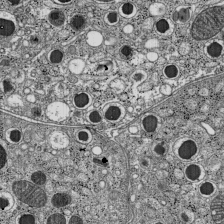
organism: C57BL Mouse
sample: Pancreatic islet